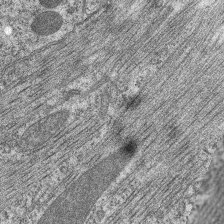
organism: C. elegans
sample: Pharynx